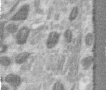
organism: Human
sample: Centriole in RPE cells